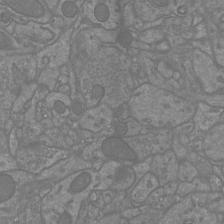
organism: Mouse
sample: Cortical neurons